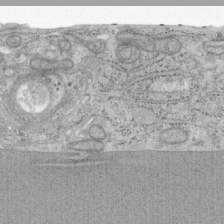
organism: Human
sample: HeLa cells